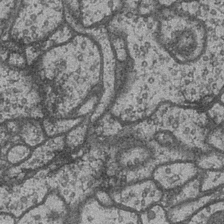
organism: Drosophila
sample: Optic medulla